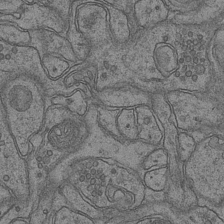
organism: Mouse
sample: CA1 Hippocampus